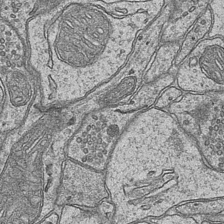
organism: Mouse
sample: CA1 Hippocampus